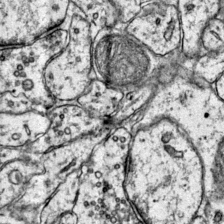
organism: Mouse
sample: Primary visual cortex